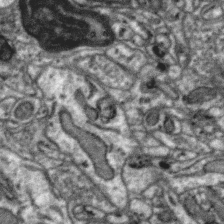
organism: Zebra finch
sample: Brain